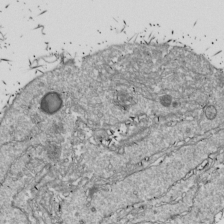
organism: Drosophila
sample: Cell division; meiosis; drosophila spermatocytes